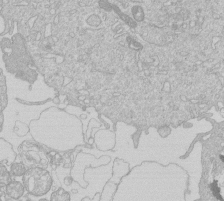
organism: Human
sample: Macrophage cells